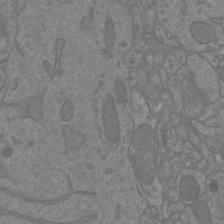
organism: Mouse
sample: Cortical neurons